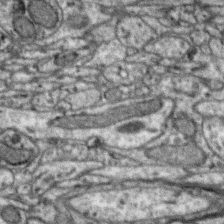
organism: Zebra finch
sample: Brain